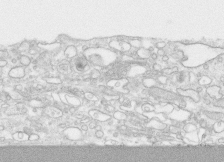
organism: Human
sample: CRL-1474